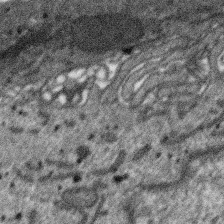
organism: Human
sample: Lung epithelial cells infected with SARS-CoV-2